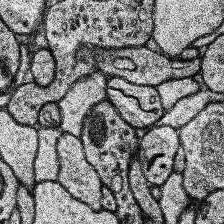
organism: Human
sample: Temporal Lobe